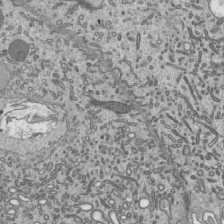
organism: Mouse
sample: Mouse epididymis efferent ductule cilia